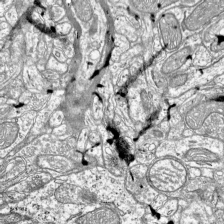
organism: Mouse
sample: Visual Cortex